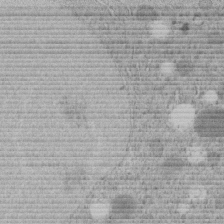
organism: C. elegans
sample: C. elegans embryo early stage